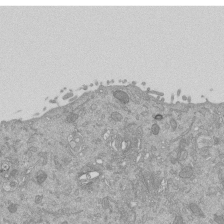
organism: Mouse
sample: ED-1 cell nuclei; centrioles